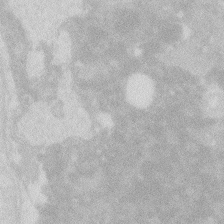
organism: Zebrafish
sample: Macrophage